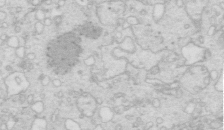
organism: Mouse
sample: Multiciliated cells